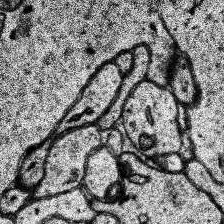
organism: Human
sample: Temporal Lobe